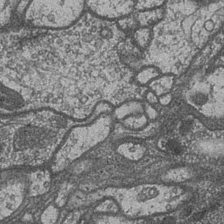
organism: Drosophila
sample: Optic medulla